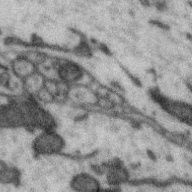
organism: Zebra finch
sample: Brain